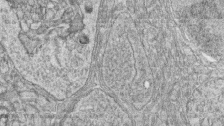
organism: Zebrafish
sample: synaptic ribbons in rod cells and cone cells